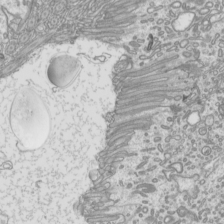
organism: Mouse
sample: Cilia; mouse epididymis